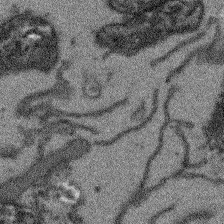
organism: Arabidopsis thaliana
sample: Root tip